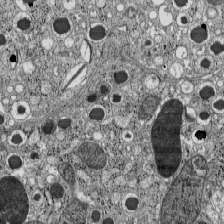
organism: C57BL Mouse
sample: Pancreatic islet